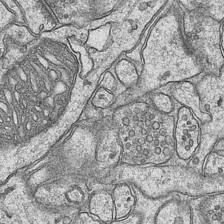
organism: Mouse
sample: CA1 Hippocampus